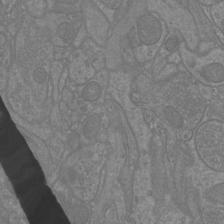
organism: Mouse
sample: Cortical neurons